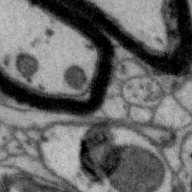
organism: Zebra finch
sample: Brain